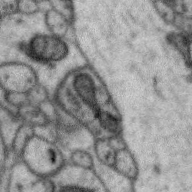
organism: Zebra finch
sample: Brain